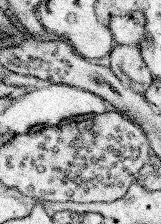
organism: Mouse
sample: Somatosensory cortex neuropil